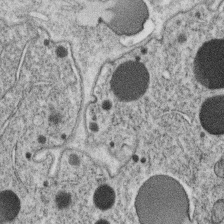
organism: C. elegans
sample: C. elegans oocyte; sperm cells